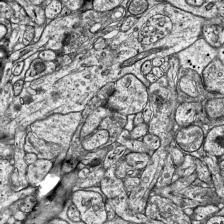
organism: Mouse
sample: Visual Cortex